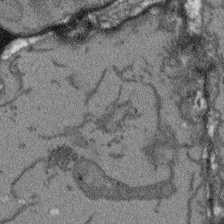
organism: Arabidopsis thaliana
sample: Root tip